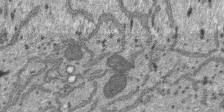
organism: Human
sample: Lung epithelial cells infected with SARS-CoV-2